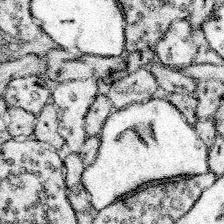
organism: Mouse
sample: Somatosensory cortex neuropil